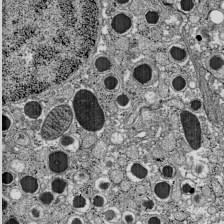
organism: C57BL Mouse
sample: Pancreatic islet